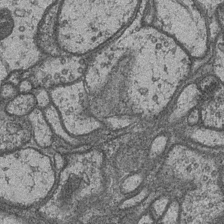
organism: Drosophila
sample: Optic medulla